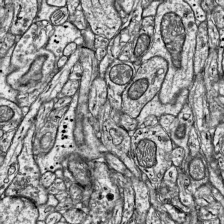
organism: Mouse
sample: Visual Cortex